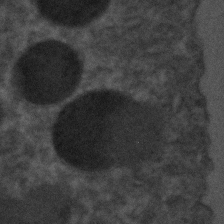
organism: C. elegans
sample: C. elegans embryo